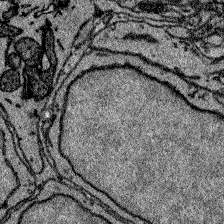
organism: Zebrafish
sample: Larval olfactory bulb